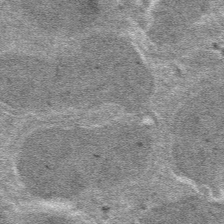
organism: Mouse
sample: Mouse hepatocytes